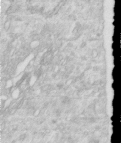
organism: Human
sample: Centriole in RPE cells